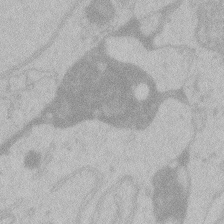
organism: Zebrafish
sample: Macrophage infected with Toxoplasma gondii